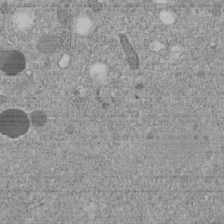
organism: C. elegans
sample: C. elegans embryo early stage